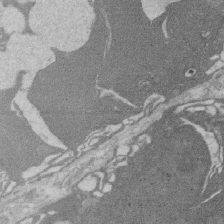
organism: Rat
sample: Salivary granule